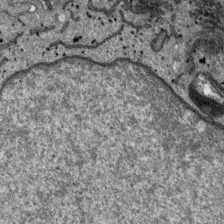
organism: Human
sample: Lung epithelial cells, uninfected (mock) control